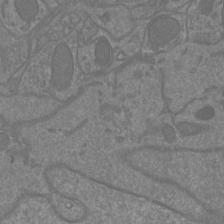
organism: Mouse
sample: Cortical neurons